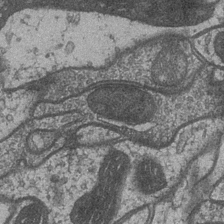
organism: Drosophila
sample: Optic medulla